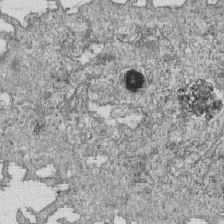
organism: Human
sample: HeLa cell HIV synapse